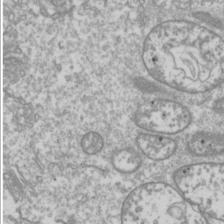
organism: Drosophila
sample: Cell division; meiosis; drosophila spermatocytes